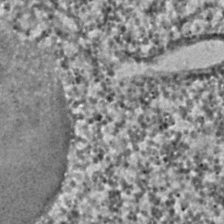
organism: C. elegans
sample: C. elegans embryo